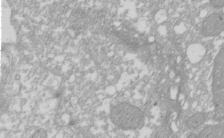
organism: Xenopus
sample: Cilia; centrioles in frog embryo cells